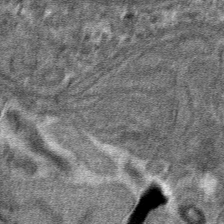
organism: Mouse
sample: Mouse hepatocytes